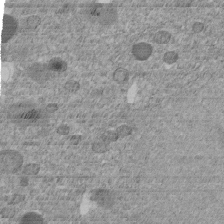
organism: C. elegans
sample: C. elegans embryo early stage